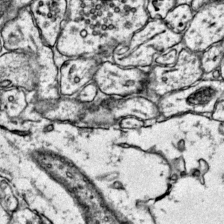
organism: Mouse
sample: Primary visual cortex